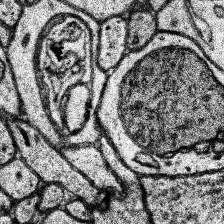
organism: Human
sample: Temporal Lobe